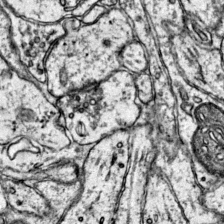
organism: Mouse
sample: Primary visual cortex